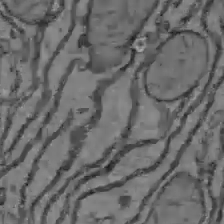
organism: C57BL Mouse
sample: Liver